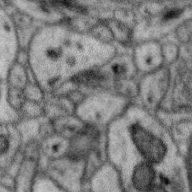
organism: Zebra finch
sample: Brain